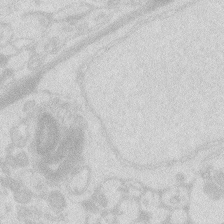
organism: Zebrafish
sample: Macrophage